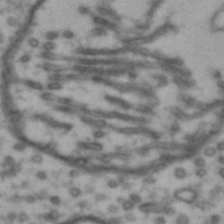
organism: Drosophila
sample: Brain